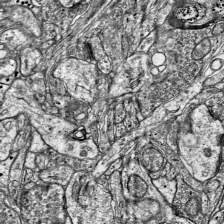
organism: Mouse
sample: Visual Cortex